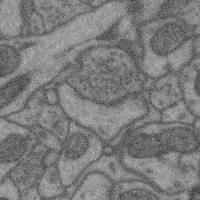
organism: Mouse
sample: Cerebral cortex